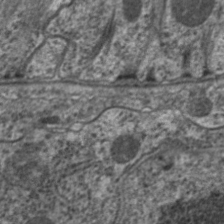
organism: C. elegans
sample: Pharynx